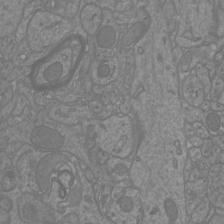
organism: Mouse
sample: Cortical neurons